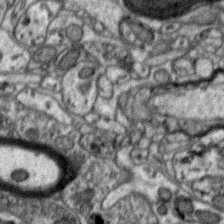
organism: Zebra finch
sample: Brain